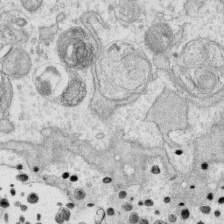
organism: Human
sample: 1205lu cells